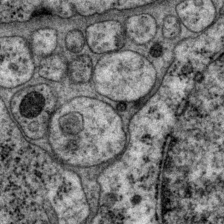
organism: P. pacificus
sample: Pharynx